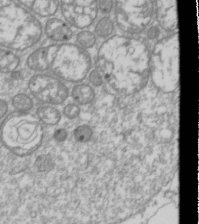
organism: Drosophila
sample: Cell division; meiosis; drosophila spermatocytes